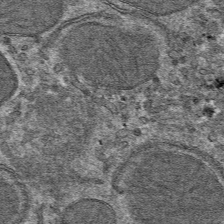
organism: Mouse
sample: Mouse hepatocytes